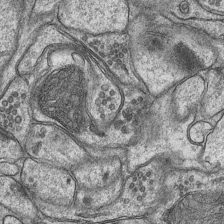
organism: Mouse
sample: CA1 Hippocampus